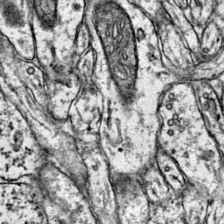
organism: Mouse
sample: Primary visual cortex